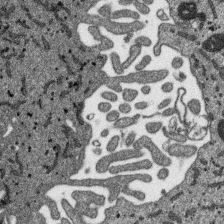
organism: Human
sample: Lung epithelial cells infected with SARS-CoV-2